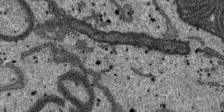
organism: Human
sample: Lung epithelial cells, uninfected (mock) control